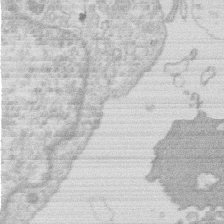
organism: Human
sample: Macrophage cells